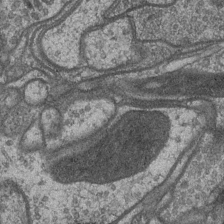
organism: Drosophila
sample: Optic medulla